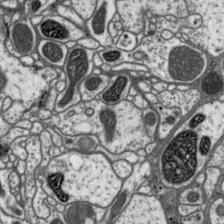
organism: Drosophila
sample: Protocerebral bridge